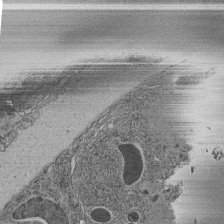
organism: C. elegans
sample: C. elegans pharynx